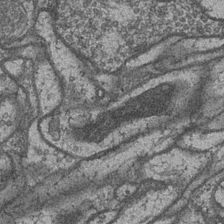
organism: Drosophila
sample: Optic medulla